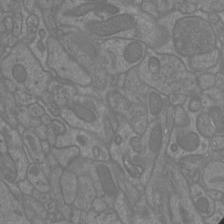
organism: Mouse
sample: Cortical neurons